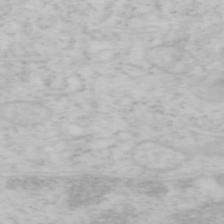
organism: Mouse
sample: OT-I killer T cells with ID8 ovarian cancer cells